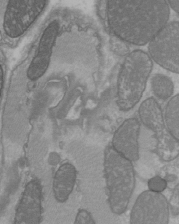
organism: C57BL Mouse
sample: Heart